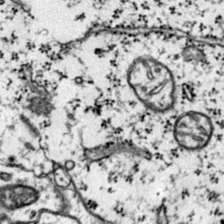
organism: Mouse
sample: Primary visual cortex